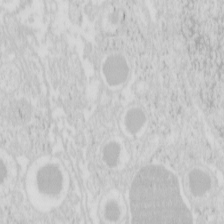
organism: Mouse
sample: Pancreas